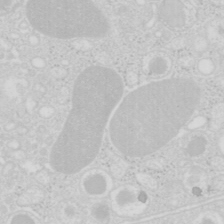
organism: Mouse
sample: Pancreas